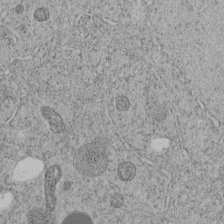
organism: C. elegans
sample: C. elegans embryo early stage